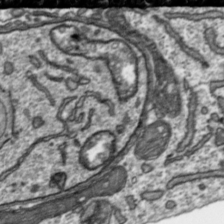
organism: Toxoplasma gondii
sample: Parasites in a vacuole inside a host cell